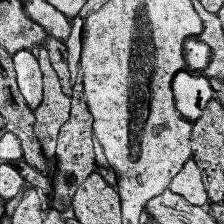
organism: Human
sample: Temporal Lobe